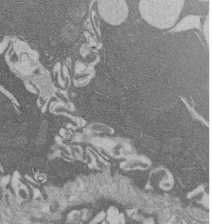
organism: Rat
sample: Salivary granule